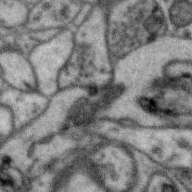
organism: Zebra finch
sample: Brain